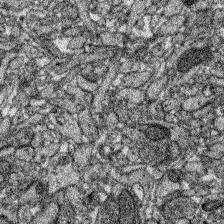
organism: Zebrafish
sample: Larval olfactory bulb